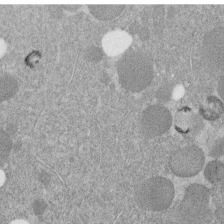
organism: C. elegans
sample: C. elegans embryo early stage